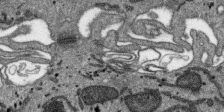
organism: Human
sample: Lung epithelial cells, uninfected (mock) control